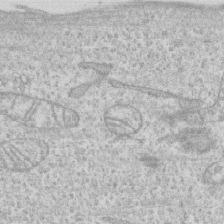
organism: Human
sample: CRL-1474